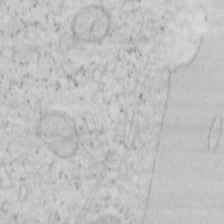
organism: Human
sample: HeLa cells